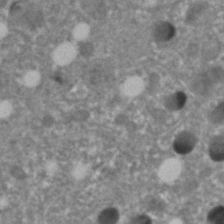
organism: C. elegans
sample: C. elegans embryo